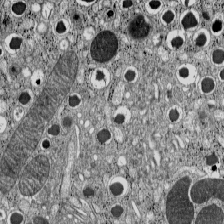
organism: C57BL Mouse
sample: Pancreatic islet